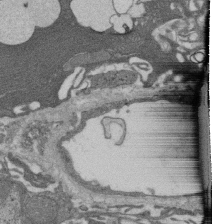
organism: Rat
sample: Salivary granule